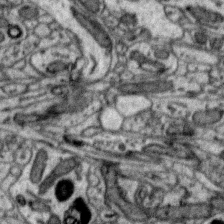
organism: Zebra finch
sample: Brain